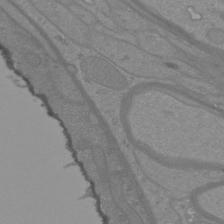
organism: Mouse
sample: Cortical neurons